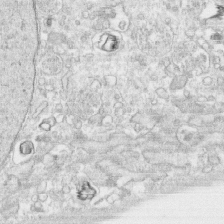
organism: Human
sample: CRL-1474